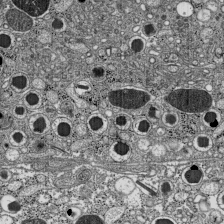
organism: C57BL Mouse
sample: Pancreatic islet